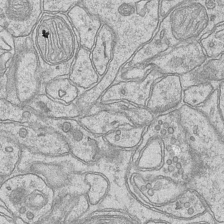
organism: Mouse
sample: CA1 Hippocampus